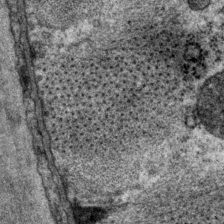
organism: P. pacificus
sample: Pharynx